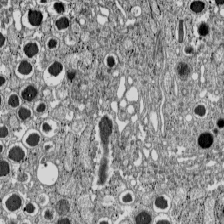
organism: C57BL Mouse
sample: Pancreatic islet